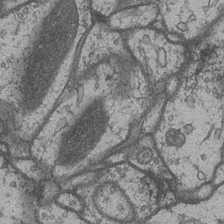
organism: Drosophila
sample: Optic medulla